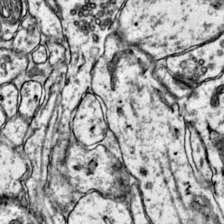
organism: Mouse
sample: Primary visual cortex